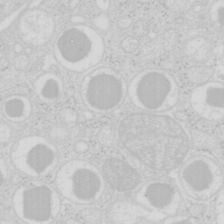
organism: Mouse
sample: Pancreas